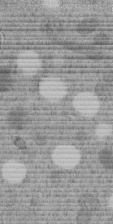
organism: C. elegans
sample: C. elegans embryo early stage